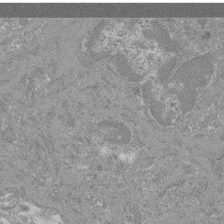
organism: Mouse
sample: Glomerulus